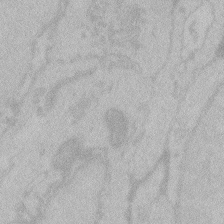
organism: Zebrafish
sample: Macrophage infected with Toxoplasma gondii